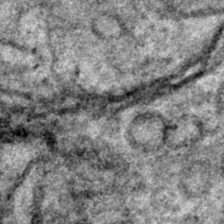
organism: Zebrafish